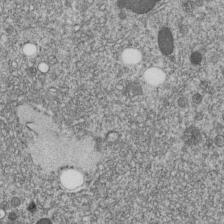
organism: C. elegans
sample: C. elegans embryo early stage